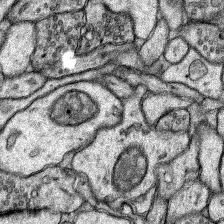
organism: Rat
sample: Hippocampus